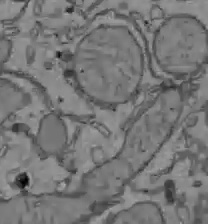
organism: C57BL Mouse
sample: Liver